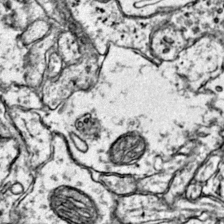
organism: Mouse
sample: Primary visual cortex